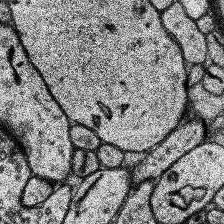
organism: Human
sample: Temporal Lobe